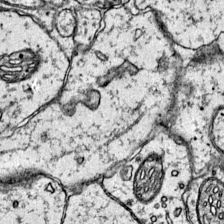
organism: Mouse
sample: Primary visual cortex